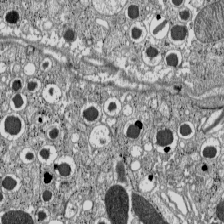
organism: C57BL Mouse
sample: Pancreatic islet